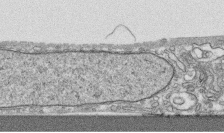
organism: Human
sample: CRL-1474